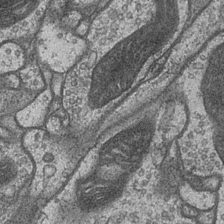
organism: Drosophila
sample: Optic medulla